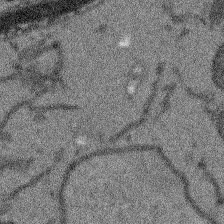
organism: Arabidopsis thaliana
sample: Root tip